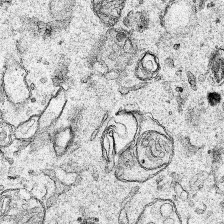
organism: Human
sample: Mitochondria in HCT116 cells